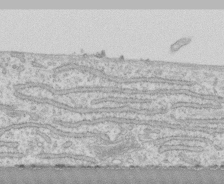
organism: Human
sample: CRL-1474